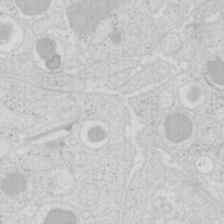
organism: Mouse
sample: Pancreas